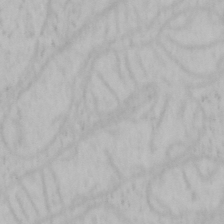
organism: Human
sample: HeLa cells